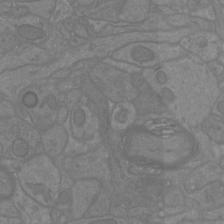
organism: Mouse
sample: Cortical neurons